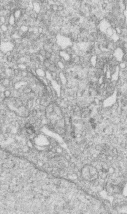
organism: Human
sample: HeLa cell HIV synapse